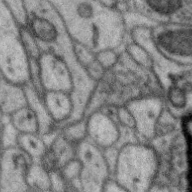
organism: Zebra finch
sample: Brain